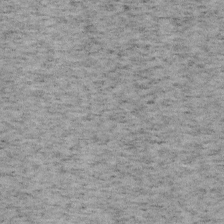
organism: Mouse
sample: OT-I killer T cells with ID8 ovarian cancer cells